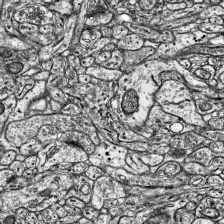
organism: Mouse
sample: Visual Cortex